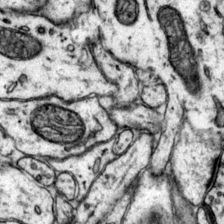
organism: Mouse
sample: Primary visual cortex